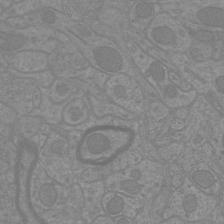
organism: Mouse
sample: Cortical neurons